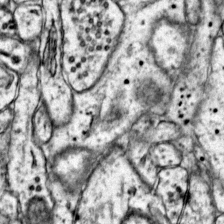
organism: Mouse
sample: Primary visual cortex